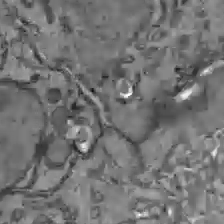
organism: C57BL Mouse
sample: Liver